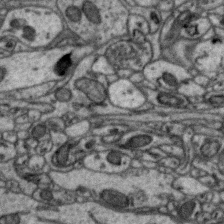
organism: Zebra finch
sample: Brain